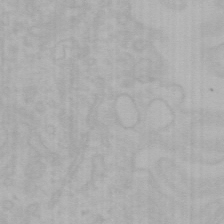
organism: Mouse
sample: Choroid plexus